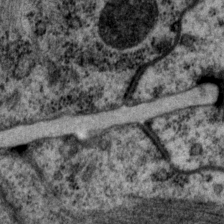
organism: P. pacificus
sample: Pharynx